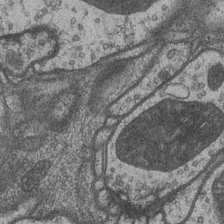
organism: Drosophila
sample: Optic medulla